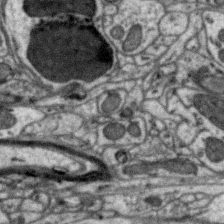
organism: Zebra finch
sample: Brain